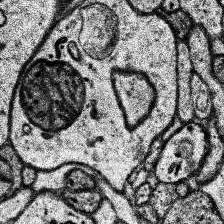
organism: Human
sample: Temporal Lobe